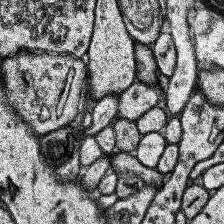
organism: Human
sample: Temporal Lobe